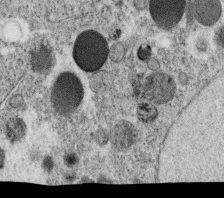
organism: C. elegans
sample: C. elegans oocyte; sperm cells